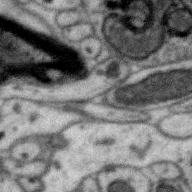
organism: Zebra finch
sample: Brain